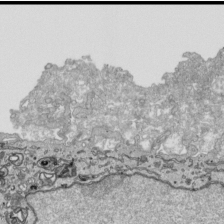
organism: Human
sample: Mitochondria in HCT116 cells